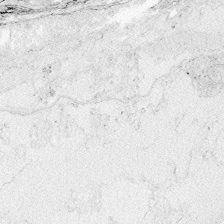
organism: Zebrafish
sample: Whole-Brain